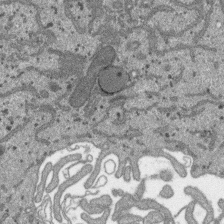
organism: Human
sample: Lung epithelial cells infected with SARS-CoV-2